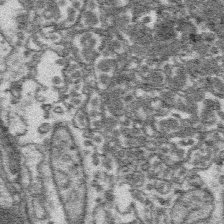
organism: Platynereis dumerilii